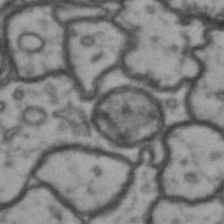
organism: Drosophila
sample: Brain